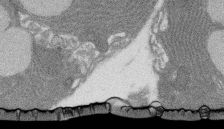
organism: Rat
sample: Salivary granule